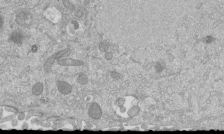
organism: Mouse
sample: ED-1 cell nuclei; centrioles